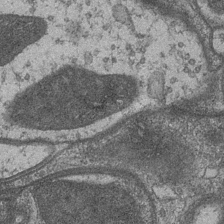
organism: Drosophila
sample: Optic medulla